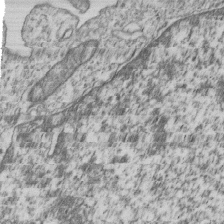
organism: Human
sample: MDA-MB-231 cells